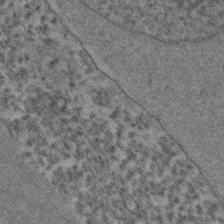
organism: C. elegans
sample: C. elegans embryo